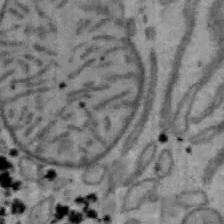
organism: Mouse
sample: Liver